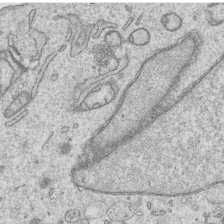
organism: Human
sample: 1205lu cells